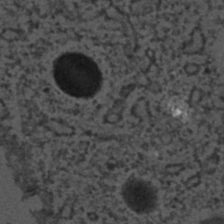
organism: C. elegans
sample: C. elegans embryo